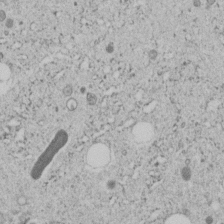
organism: C. elegans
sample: C. elegans embryo early stage